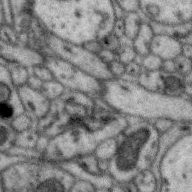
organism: Zebra finch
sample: Brain